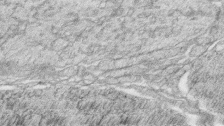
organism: Zebrafish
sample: synaptic ribbons in rod cells and cone cells